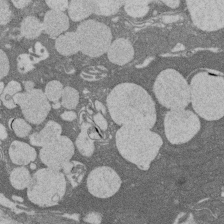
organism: Rat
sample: Salivary granule